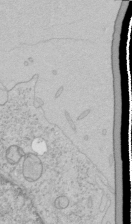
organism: Human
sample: Mitochondria in HCT116 cells